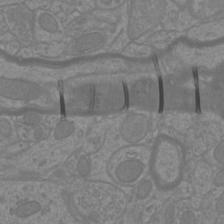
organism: Mouse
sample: Cortical neurons